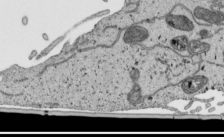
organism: Human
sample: Mitochondria in HCT116 cells